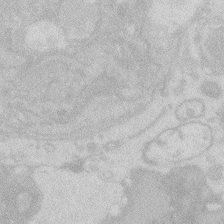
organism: Zebrafish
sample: Macrophage